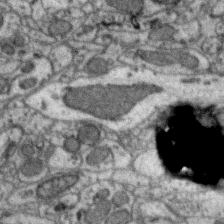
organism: Zebra finch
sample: Brain